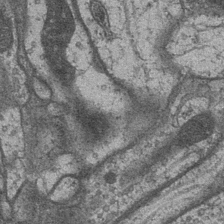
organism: Drosophila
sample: Optic medulla